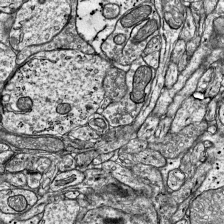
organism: Mouse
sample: Visual Cortex